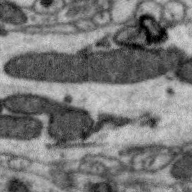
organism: Zebra finch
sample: Brain